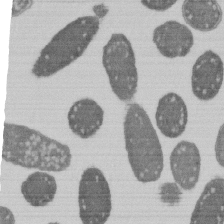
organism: E. coli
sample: Bacterial nucleoid